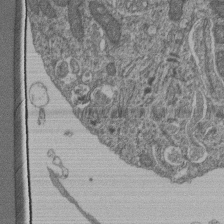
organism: Human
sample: Retinal organoid Rod and Cone cells